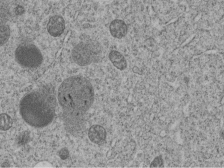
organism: C. elegans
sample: C. elegans embryo early stage